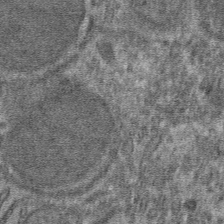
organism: Mouse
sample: Mouse hepatocytes